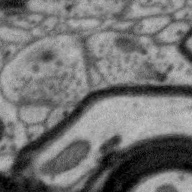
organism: Zebra finch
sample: Brain